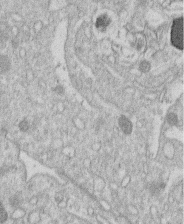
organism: Human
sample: Macrophage cells